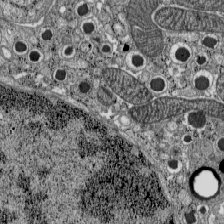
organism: C57BL Mouse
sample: Pancreatic islet